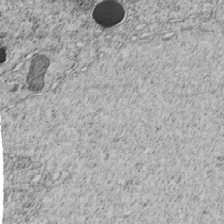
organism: C. elegans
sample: C. elegans embryo early stage